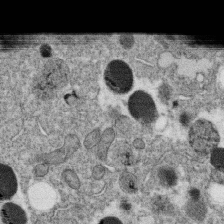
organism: C. elegans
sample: C. elegans oocyte; sperm cells